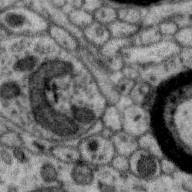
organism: Zebra finch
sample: Brain